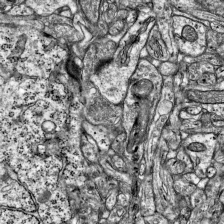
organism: Mouse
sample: Visual Cortex